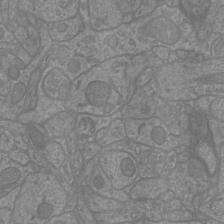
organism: Mouse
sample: Cortical neurons